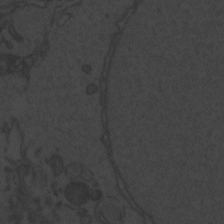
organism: Zebrafish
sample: Macrophage infected with Toxoplasma gondii